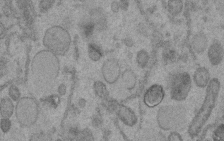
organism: C. elegans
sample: C. elegans embryo early stage